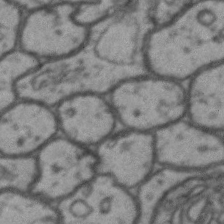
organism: Drosophila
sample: Brain